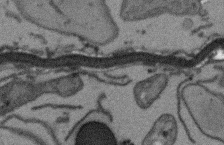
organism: Arabidopsis thaliana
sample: Root tip